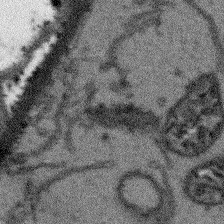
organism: Arabidopsis thaliana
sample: Root tip